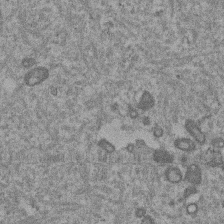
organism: Mouse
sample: Dividing mouse embryo 1 cell stage